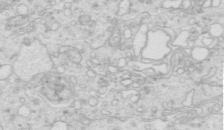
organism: Mouse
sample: Multiciliated cells